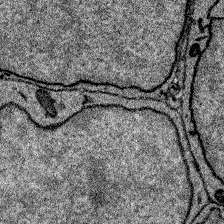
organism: Zebrafish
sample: Larval olfactory bulb